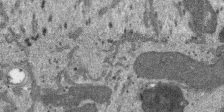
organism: Human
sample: Lung epithelial cells infected with SARS-CoV-2